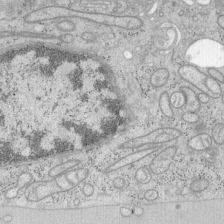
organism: Mouse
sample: OT-I killer T cells with ID8 ovarian cancer cells